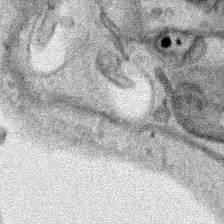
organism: Human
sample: Mitochondria in HCT116 cells